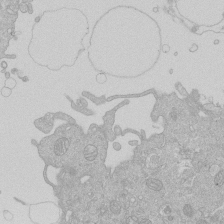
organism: Human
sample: Macrophage cells